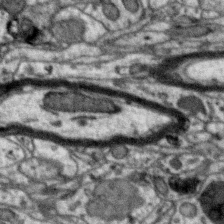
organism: Zebra finch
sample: Brain